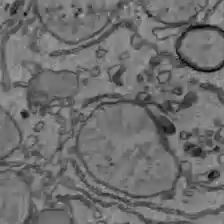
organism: C57BL Mouse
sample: Liver